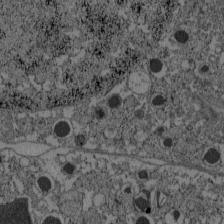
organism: C57BL Mouse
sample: Pancreatic islet